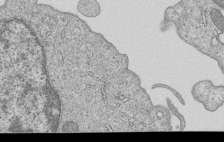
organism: Human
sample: MDA-MB-231 cells